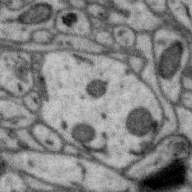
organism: Zebra finch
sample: Brain